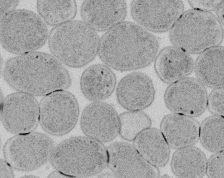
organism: E. coli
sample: Bacterial nucleoid